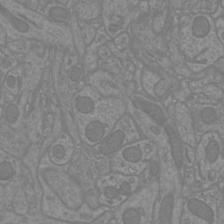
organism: Mouse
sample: Cortical neurons